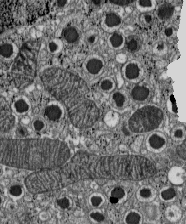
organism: C57BL Mouse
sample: Pancreatic islet